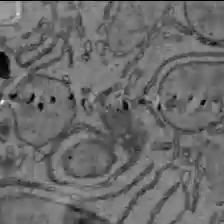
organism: C57BL Mouse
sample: Liver